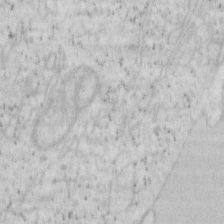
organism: Human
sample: HeLa cells